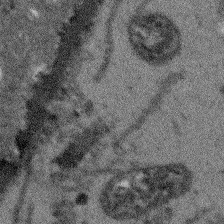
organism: Arabidopsis thaliana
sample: Root tip